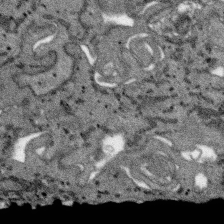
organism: Human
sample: Lung epithelial cells, uninfected (mock) control